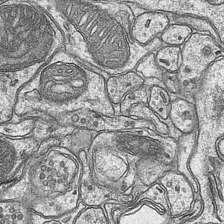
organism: Mouse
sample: CA1 Hippocampus